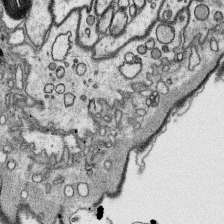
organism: Platynereis dumerilii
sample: Parapodia